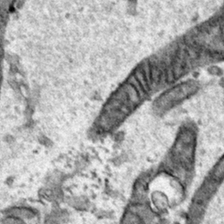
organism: Human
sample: Mitochondria in HCT116 cells